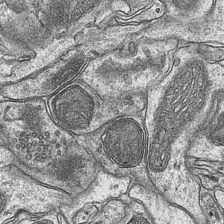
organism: Mouse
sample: CA1 Hippocampus